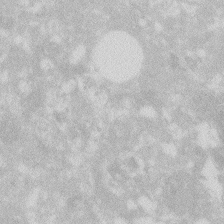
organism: Zebrafish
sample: Macrophage